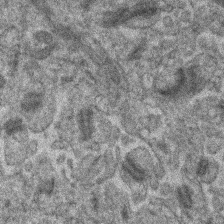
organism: Human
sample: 1205lu cells